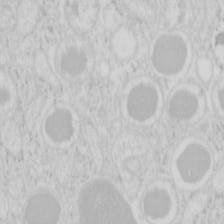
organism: Mouse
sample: Pancreas